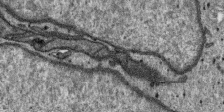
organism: Human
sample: Lung epithelial cells, uninfected (mock) control